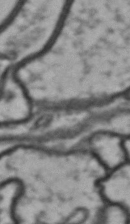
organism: Drosophila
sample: Brain